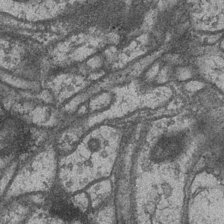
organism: Drosophila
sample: Optic medulla